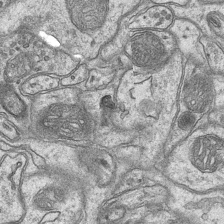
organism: Mouse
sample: CA1 Hippocampus